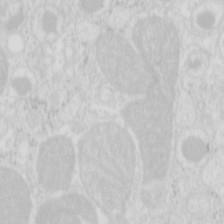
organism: Mouse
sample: Pancreas